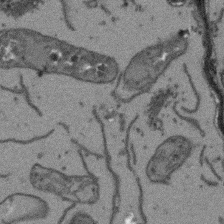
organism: Arabidopsis thaliana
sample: Root tip